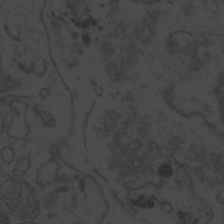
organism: Zebrafish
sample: Macrophage infected with Toxoplasma gondii